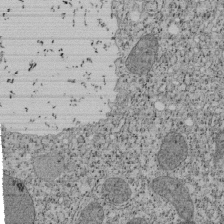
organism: Tetrahymena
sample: Cilia in tetrahymena